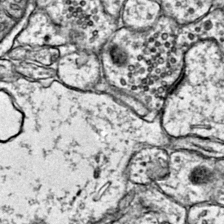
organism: Mouse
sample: Primary visual cortex